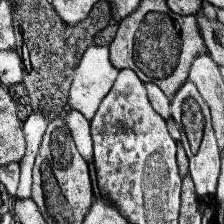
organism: Human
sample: Temporal Lobe